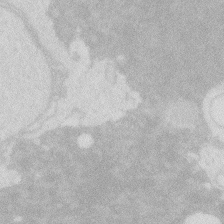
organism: Zebrafish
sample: Macrophage